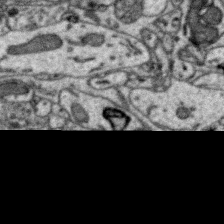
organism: Zebra finch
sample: Brain